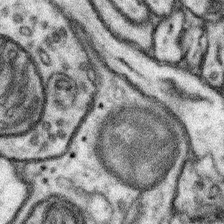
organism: Mouse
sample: Somatosensory cortex neuropil